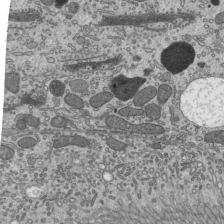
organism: Mouse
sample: Mouse epididymis efferent ductule cilia